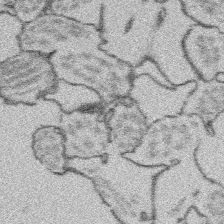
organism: Platynereis dumerilii